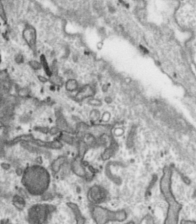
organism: Toxoplasma gondii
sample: Parasites in a vacuole inside a host cell